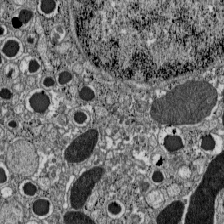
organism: C57BL Mouse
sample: Pancreatic islet